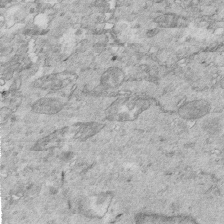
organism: Mouse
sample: Multiciliated cells